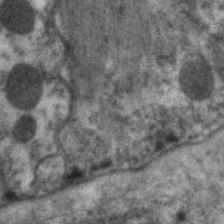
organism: C. elegans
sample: Pharynx